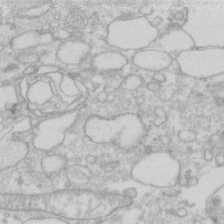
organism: Human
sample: Fibroblast cells